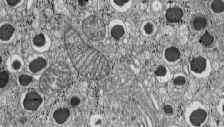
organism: C57BL Mouse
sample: Pancreatic islet